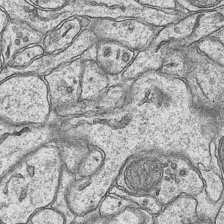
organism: Mouse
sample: CA1 Hippocampus